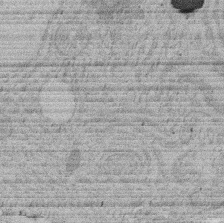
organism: Rat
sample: Salivary granule